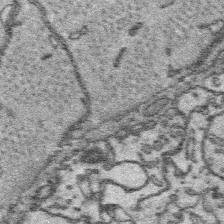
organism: Platynereis dumerilii